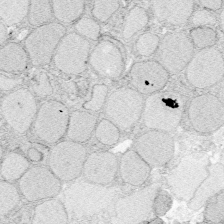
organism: Zebrafish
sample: Whole-Brain